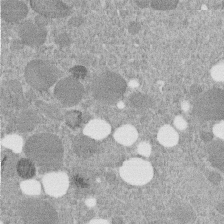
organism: C. elegans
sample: C. elegans embryo early stage